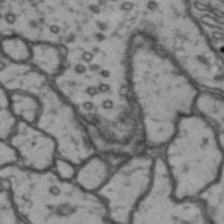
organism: Drosophila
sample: Brain